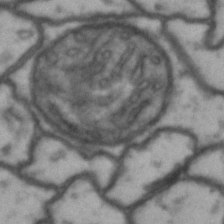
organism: Drosophila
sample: Brain